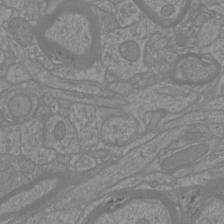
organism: Mouse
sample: Cortical neurons